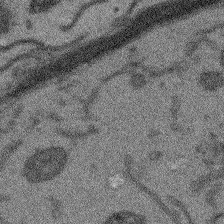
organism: Arabidopsis thaliana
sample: Root tip